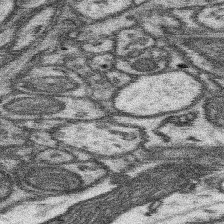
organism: Mouse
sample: Somatosensory cortex neuropil